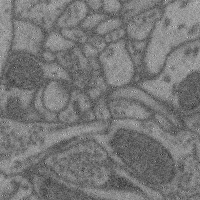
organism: Mouse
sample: Cerebral cortex